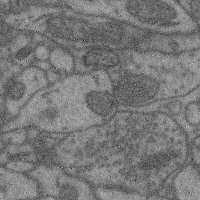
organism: Mouse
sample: Cerebral cortex